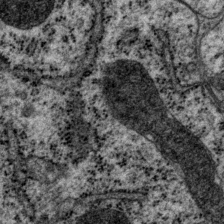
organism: P. pacificus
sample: Pharynx